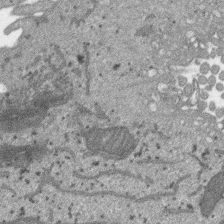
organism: Human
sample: Lung epithelial cells infected with SARS-CoV-2